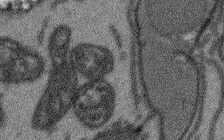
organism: Arabidopsis thaliana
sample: Root tip